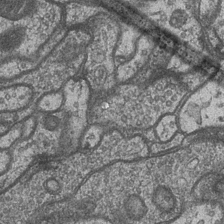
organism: Drosophila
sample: Optic medulla